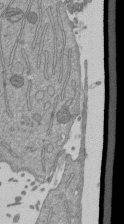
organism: Mouse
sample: ED-1 cell nuclei; centrioles